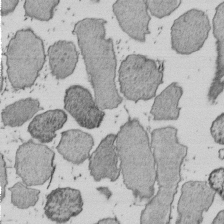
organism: E. coli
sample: Bacterial nucleoid